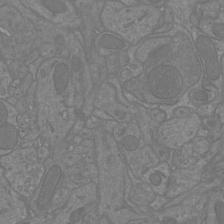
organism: Mouse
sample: Cortical neurons